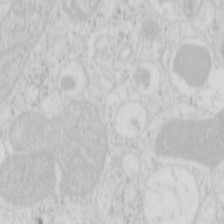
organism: Mouse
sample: Pancreas